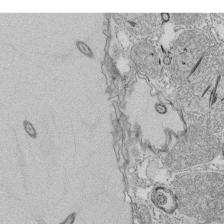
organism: Tetrahymena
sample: Cilia in tetrahymena